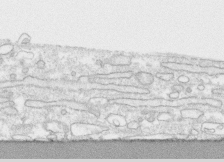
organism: Human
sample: CRL-1474